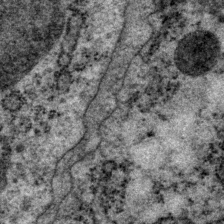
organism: P. pacificus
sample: Pharynx